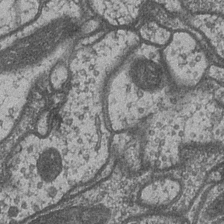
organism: Drosophila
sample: Optic medulla